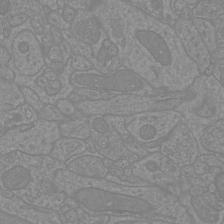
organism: Mouse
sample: Cortical neurons